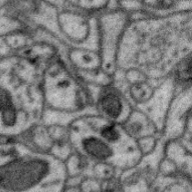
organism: Zebra finch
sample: Brain